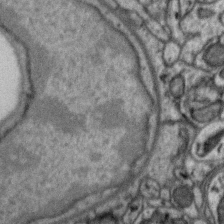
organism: Zebra finch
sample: Brain